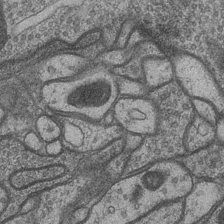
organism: Drosophila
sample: Optic medulla